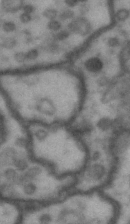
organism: Drosophila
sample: Brain